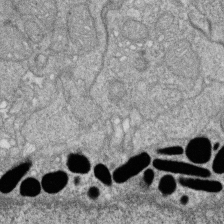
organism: Zebrafish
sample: Cilia; retinal pigment epithelium